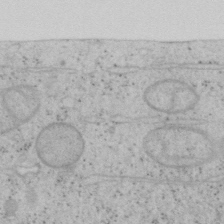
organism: Human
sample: HeLa cells